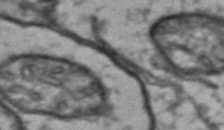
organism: Drosophila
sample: Brain